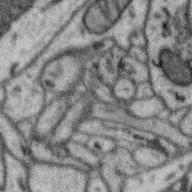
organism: Zebra finch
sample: Brain